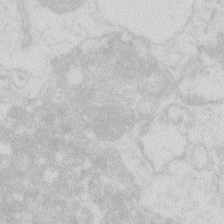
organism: Zebrafish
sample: Macrophage